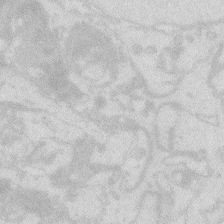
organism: Zebrafish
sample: Macrophage